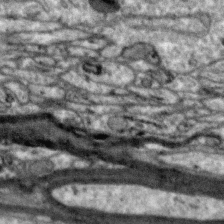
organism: Zebra finch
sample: Brain